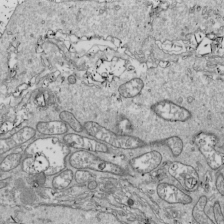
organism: Drosophila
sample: Cell division; meiosis; drosophila spermatocytes